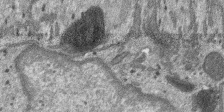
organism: Human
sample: Lung epithelial cells infected with SARS-CoV-2